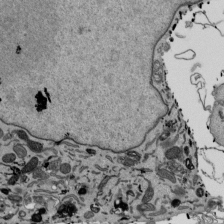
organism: Mouse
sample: ED-1 cell nuclei; centrioles